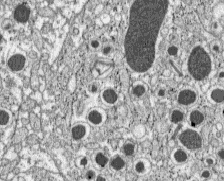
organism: C57BL Mouse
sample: Pancreatic islet